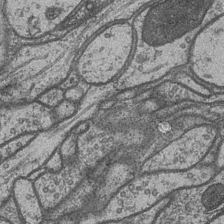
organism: Drosophila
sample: Optic medulla